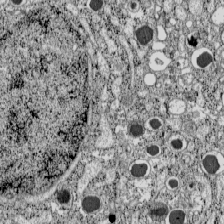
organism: C57BL Mouse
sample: Pancreatic islet